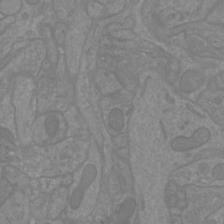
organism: Mouse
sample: Cortical neurons